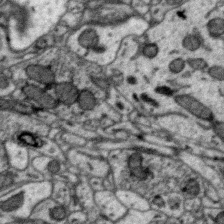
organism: Zebra finch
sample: Brain